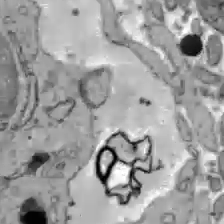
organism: C57BL Mouse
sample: Liver